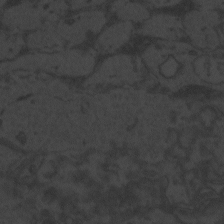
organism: Zebrafish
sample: Macrophage infected with Toxoplasma gondii